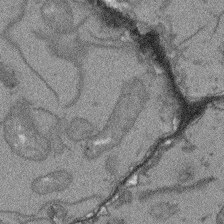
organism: Arabidopsis thaliana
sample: Root tip